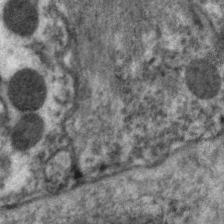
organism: C. elegans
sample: Pharynx